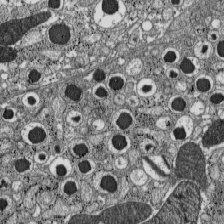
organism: C57BL Mouse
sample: Pancreatic islet